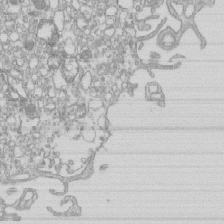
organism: Mouse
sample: Macrophages